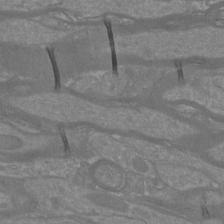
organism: Mouse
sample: Cortical neurons